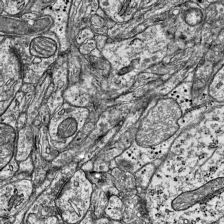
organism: Mouse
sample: Visual Cortex